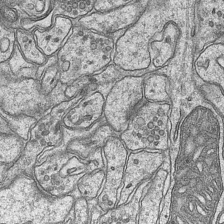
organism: Mouse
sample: CA1 Hippocampus